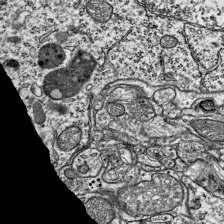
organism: Mouse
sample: Visual Cortex